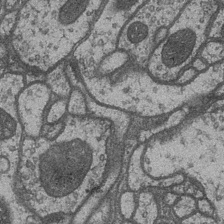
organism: Drosophila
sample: Optic medulla